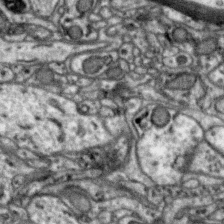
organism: Zebra finch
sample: Brain